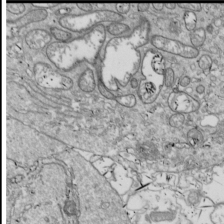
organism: Drosophila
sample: Cell division; meiosis; drosophila spermatocytes